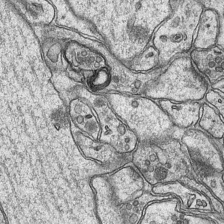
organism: Mouse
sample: CA1 Hippocampus